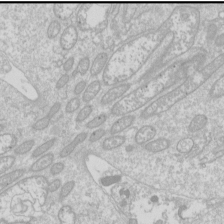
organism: Drosophila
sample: Cell division; meiosis; drosophila spermatocytes